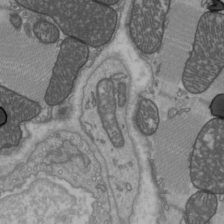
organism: C57BL Mouse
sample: Heart